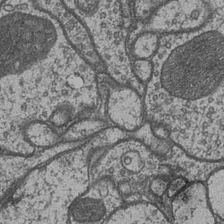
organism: Drosophila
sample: Optic medulla